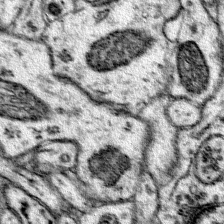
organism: Mouse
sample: Primary visual cortex